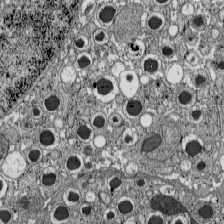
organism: C57BL Mouse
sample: Pancreatic islet